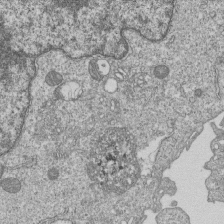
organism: Human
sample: MDA-MB-231 cells